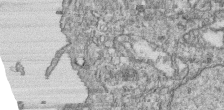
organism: Human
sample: HeLa cell HIV synapse